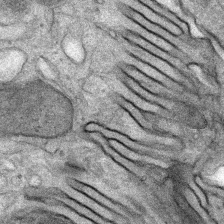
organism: Mouse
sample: Mouse Salivary gland